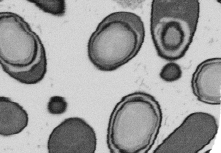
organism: B. subtilis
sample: Bacterial spore